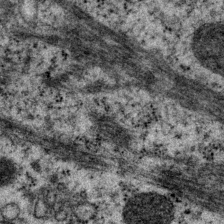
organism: P. pacificus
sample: Pharynx